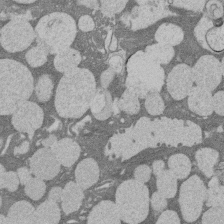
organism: Rat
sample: Salivary granule